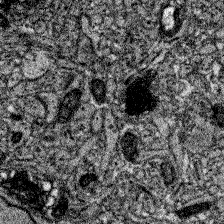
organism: Zebrafish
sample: Larval olfactory bulb